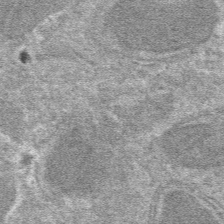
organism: Mouse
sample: Mouse hepatocytes